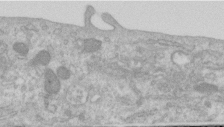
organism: Human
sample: Centriole in RPE cells